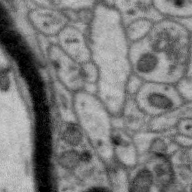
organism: Zebra finch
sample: Brain